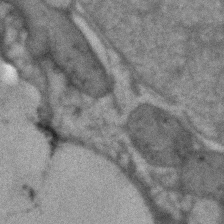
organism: Human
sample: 1205lu cells